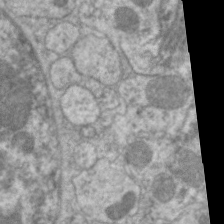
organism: C. elegans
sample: Pharynx